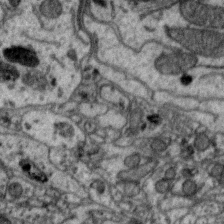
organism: Zebra finch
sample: Brain